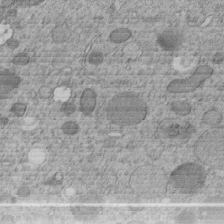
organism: C. elegans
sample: C. elegans embryo early stage